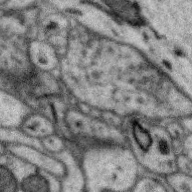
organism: Zebra finch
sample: Brain